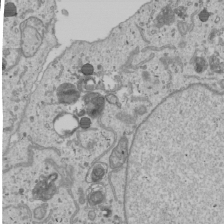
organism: Human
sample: Mitochondria in U2OS cells